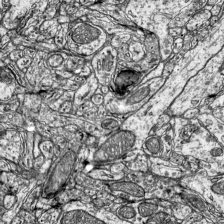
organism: Mouse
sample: Visual Cortex